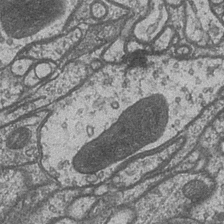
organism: Drosophila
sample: Optic medulla